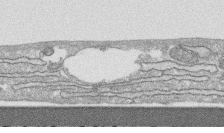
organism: Human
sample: CRL-1474